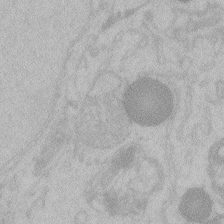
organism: Zebrafish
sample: Macrophage infected with Toxoplasma gondii